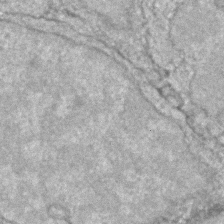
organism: Zebrafish